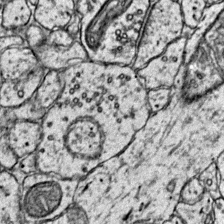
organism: Mouse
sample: Primary visual cortex